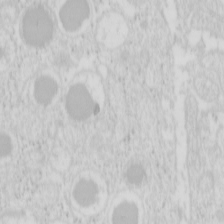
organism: Mouse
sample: Pancreas